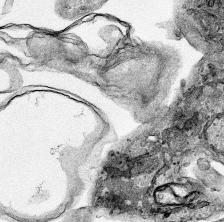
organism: Human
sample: Mitochondria in HCT116 cells